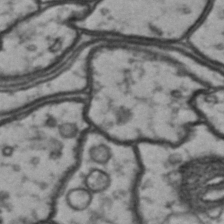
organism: Drosophila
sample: Brain